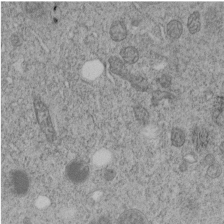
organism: C. elegans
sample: C. elegans embryo early stage